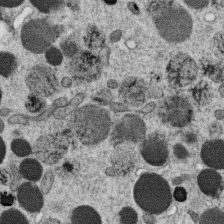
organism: C. elegans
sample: C. elegans oocyte; sperm cells